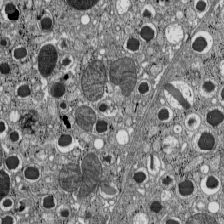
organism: C57BL Mouse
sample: Pancreatic islet